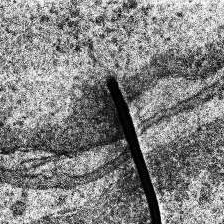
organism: Human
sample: Temporal Lobe